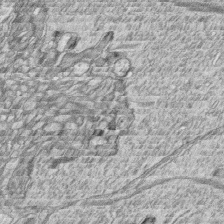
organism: Zebrafish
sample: synaptic ribbons in rod cells and cone cells